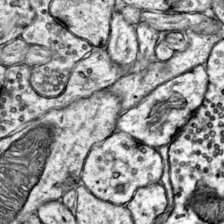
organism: Mouse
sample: Primary visual cortex